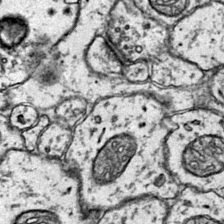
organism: Mouse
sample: Primary visual cortex